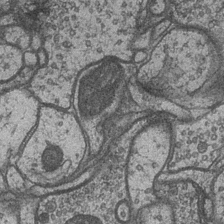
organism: Drosophila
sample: Optic medulla